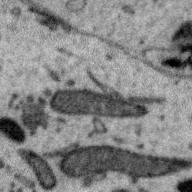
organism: Zebra finch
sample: Brain